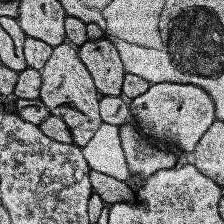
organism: Human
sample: Temporal Lobe